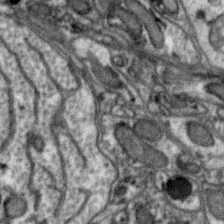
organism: Zebra finch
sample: Brain